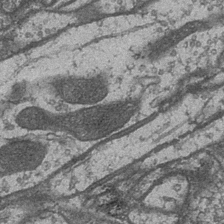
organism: Drosophila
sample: Optic medulla